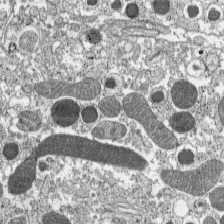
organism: C57BL Mouse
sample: Pancreatic islet